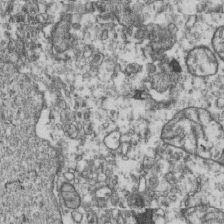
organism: Human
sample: Activated Jurkat CD4+ T cells